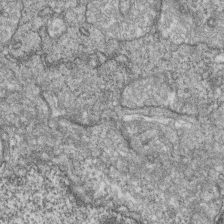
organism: Zebrafish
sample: Cilia; retinal pigment epithelium